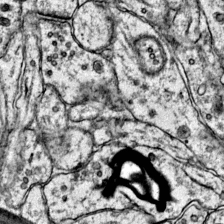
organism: Mouse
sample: Primary visual cortex